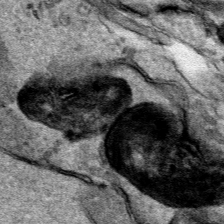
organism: Human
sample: Mitochondria in HCT116 cells